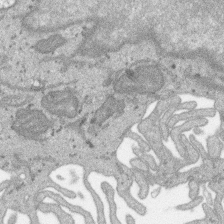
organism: Human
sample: Lung epithelial cells infected with SARS-CoV-2